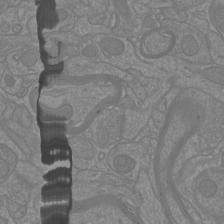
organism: Mouse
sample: Cortical neurons